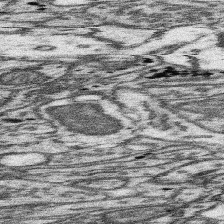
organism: Mouse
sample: Somatosensory cortex neuropil